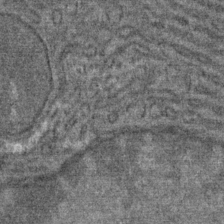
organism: Mouse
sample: Mouse Salivary gland